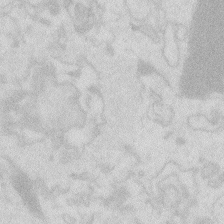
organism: Zebrafish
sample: Macrophage